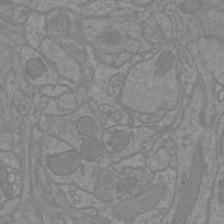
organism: Mouse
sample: Cortical neurons